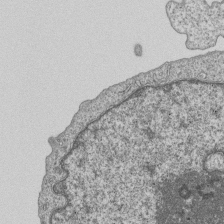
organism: Human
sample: MDA-MB-231 cells